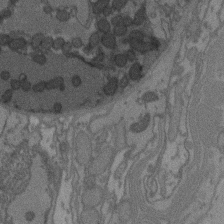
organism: C. elegans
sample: AFD neurons C. elegans